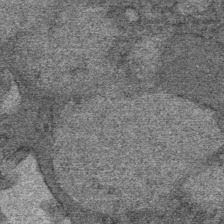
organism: Mouse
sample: Mouse Salivary gland